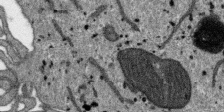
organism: Human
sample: Lung epithelial cells, uninfected (mock) control